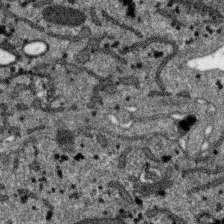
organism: Human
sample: Lung epithelial cells infected with SARS-CoV-2